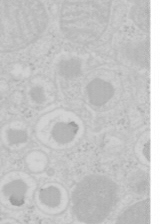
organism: Mouse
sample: Pancreas